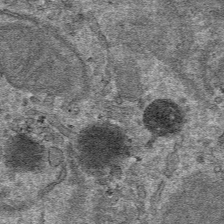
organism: Mouse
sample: Mouse hepatocytes